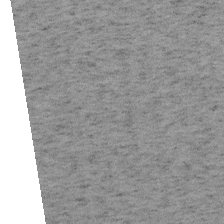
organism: Mouse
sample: OT-I killer T cells with ID8 ovarian cancer cells